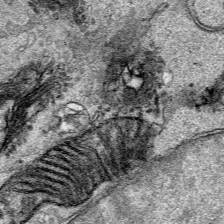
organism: Human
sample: Mitochondria in HCT116 cells